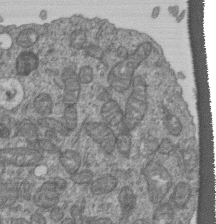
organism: Human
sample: Retinal organoid Rod and Cone cells